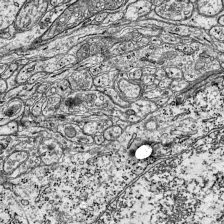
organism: Mouse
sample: Visual Cortex